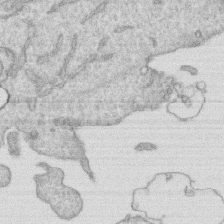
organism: Human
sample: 1205lu cells